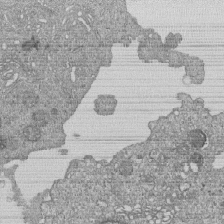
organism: Human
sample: MDA-MB-231 cells